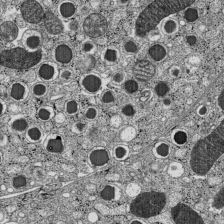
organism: C57BL Mouse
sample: Pancreatic islet